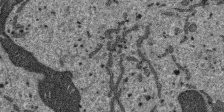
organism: Human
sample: Lung epithelial cells infected with SARS-CoV-2